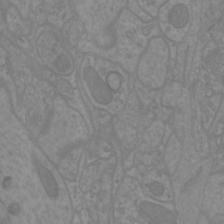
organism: Mouse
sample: Cortical neurons